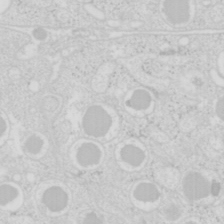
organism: Mouse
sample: Pancreas